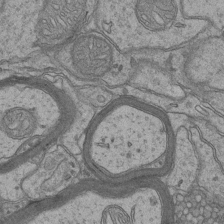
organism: Mouse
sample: CA1 Hippocampus